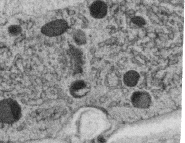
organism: C. elegans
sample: C. elegans oocyte; sperm cells